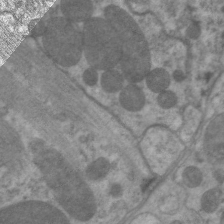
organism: C. elegans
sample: Pharynx